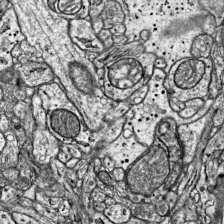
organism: Mouse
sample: Visual Cortex